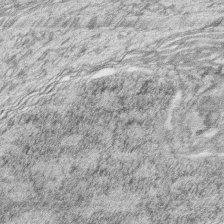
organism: Zebrafish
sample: synaptic ribbons in rod cells and cone cells